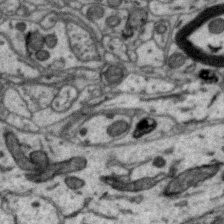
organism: Zebra finch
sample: Brain